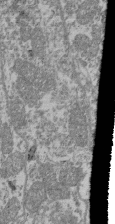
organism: Mouse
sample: Glomerulus